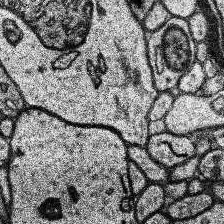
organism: Human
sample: Temporal Lobe